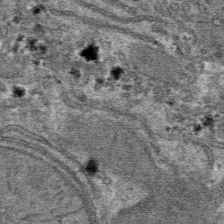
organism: Mouse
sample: Mouse hepatocytes